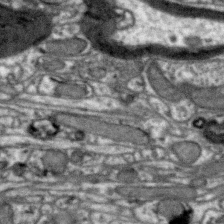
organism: Zebra finch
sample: Brain